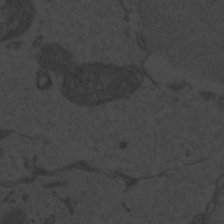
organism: Zebrafish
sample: Macrophage infected with Toxoplasma gondii